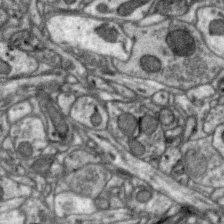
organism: Zebra finch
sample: Brain